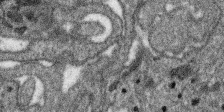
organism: Human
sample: Lung epithelial cells infected with SARS-CoV-2